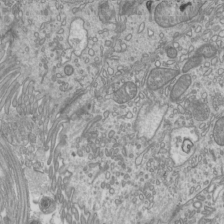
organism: Mouse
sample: Cilia; mouse epididymis